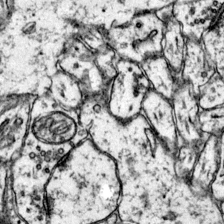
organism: Mouse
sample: Primary visual cortex